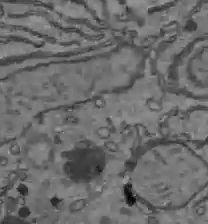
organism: C57BL Mouse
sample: Liver